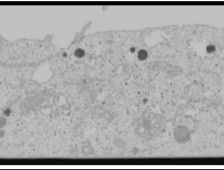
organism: Human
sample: Mitochondria in U2OS cells